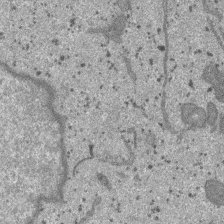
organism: Human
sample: Lung epithelial cells infected with SARS-CoV-2